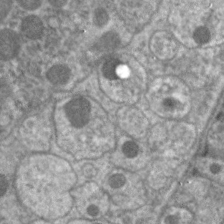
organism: C. elegans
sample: Pharynx